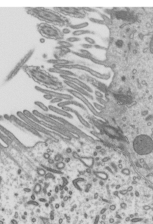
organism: Mouse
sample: Mouse epididymis efferent ductule cilia